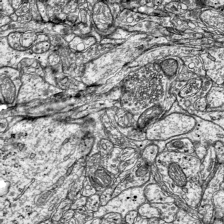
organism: Mouse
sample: Visual Cortex